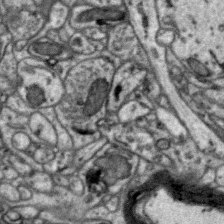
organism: Zebra finch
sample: Brain